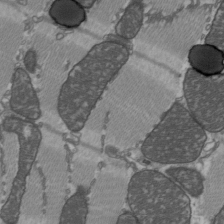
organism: C57BL Mouse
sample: Heart